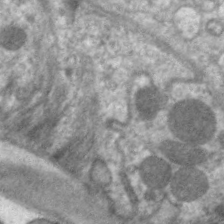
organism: C. elegans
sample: Pharynx